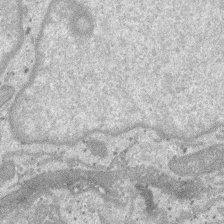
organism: Human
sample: Lung epithelial cells infected with SARS-CoV-2